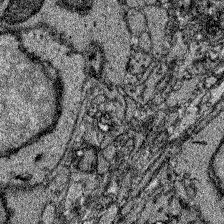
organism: Zebrafish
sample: Larval olfactory bulb